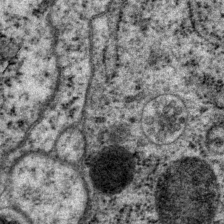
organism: P. pacificus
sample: Pharynx